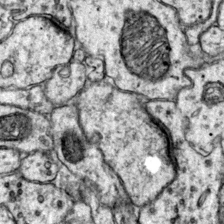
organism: Mouse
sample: Primary visual cortex